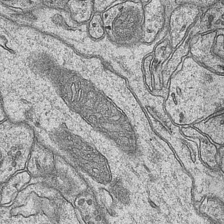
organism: Mouse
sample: CA1 Hippocampus